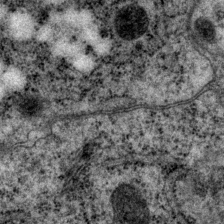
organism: P. pacificus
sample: Pharynx